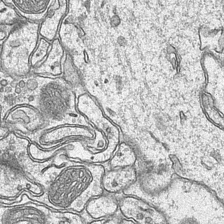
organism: Mouse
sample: CA1 Hippocampus